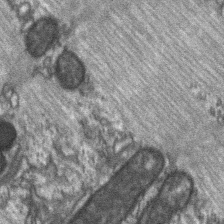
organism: C57BL Mouse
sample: Soleus